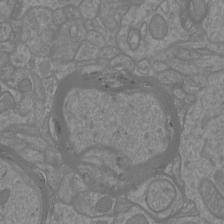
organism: Mouse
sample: Cortical neurons